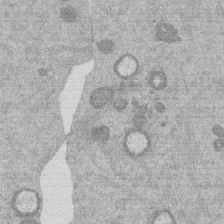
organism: Mouse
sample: Dividing mouse embryo 1 cell stage